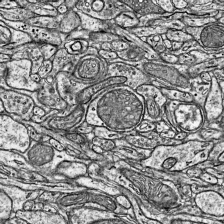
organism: Mouse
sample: Visual Cortex